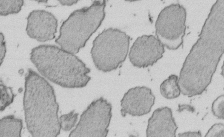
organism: E. coli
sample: Bacterial nucleoid